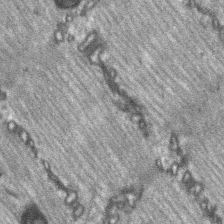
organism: C57BL Mouse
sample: Soleus